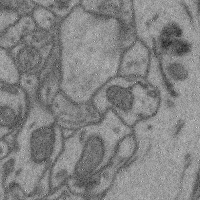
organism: Mouse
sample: Cerebral cortex